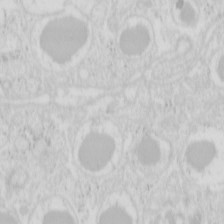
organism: Mouse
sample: Pancreas